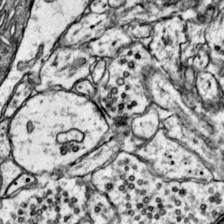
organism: Mouse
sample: Primary visual cortex